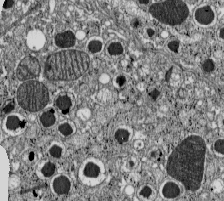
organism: C57BL Mouse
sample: Pancreatic islet